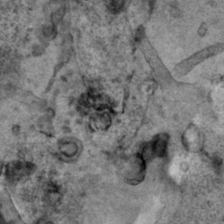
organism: Human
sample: Mitochondria in HCT116 cells